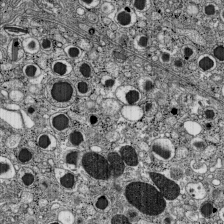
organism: C57BL Mouse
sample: Pancreatic islet